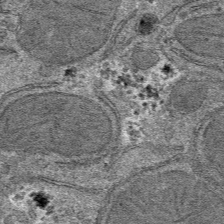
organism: Mouse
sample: Mouse hepatocytes